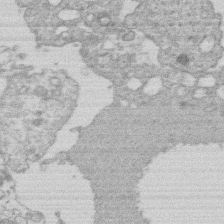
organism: Human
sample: Macrophage cells